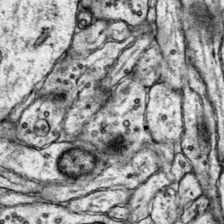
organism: Mouse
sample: Primary visual cortex